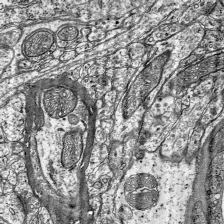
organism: Mouse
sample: Visual Cortex